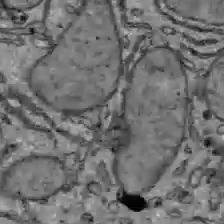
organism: C57BL Mouse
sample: Liver